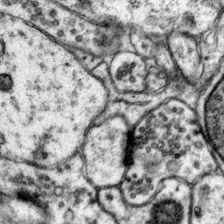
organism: Mouse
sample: Primary visual cortex